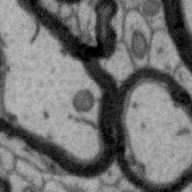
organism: Zebra finch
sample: Brain